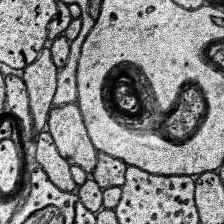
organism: Human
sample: Temporal Lobe